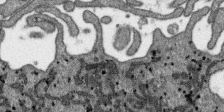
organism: Human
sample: Lung epithelial cells, uninfected (mock) control